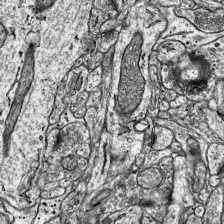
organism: Mouse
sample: Visual Cortex